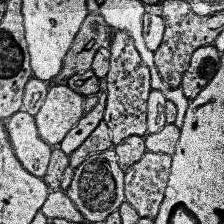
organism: Human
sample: Temporal Lobe